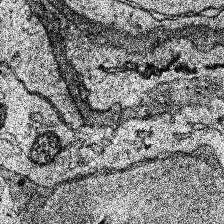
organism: Human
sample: Temporal Lobe